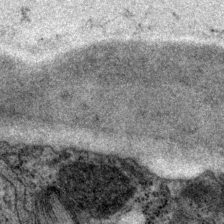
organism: P. pacificus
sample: Pharynx